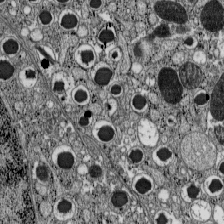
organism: C57BL Mouse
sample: Pancreatic islet